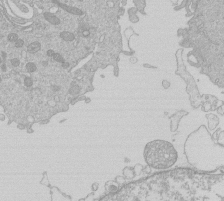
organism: Human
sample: Macrophage cells